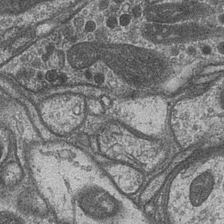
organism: Drosophila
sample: Optic medulla